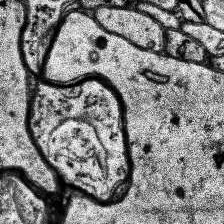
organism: Human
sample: Temporal Lobe